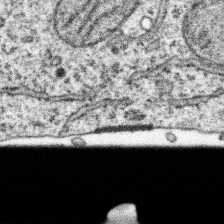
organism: Human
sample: HeLa cells